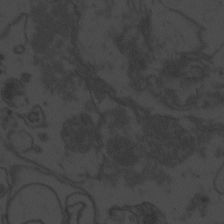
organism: Zebrafish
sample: Macrophage infected with Toxoplasma gondii